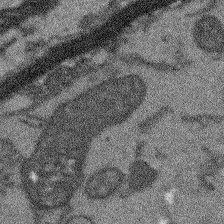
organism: Arabidopsis thaliana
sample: Root tip